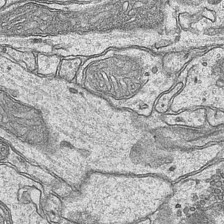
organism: Mouse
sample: CA1 Hippocampus